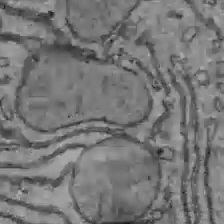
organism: C57BL Mouse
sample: Liver